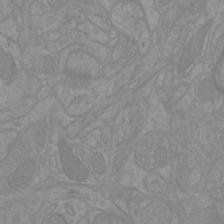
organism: Mouse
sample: Cortical neurons